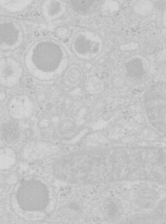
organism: Mouse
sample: Pancreas